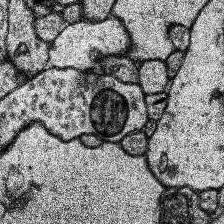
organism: Human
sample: Temporal Lobe